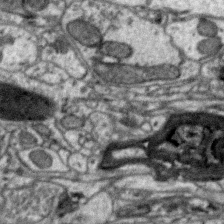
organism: Zebra finch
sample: Brain